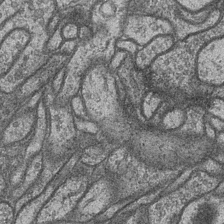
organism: Drosophila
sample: Optic medulla